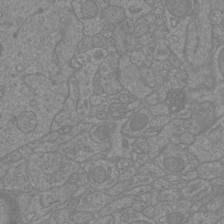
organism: Mouse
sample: Cortical neurons